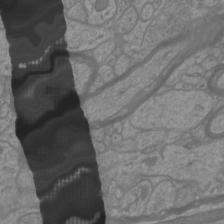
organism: Mouse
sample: Cortical neurons